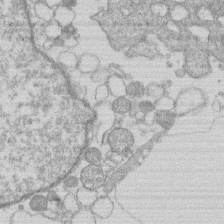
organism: Human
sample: Macrophage cells